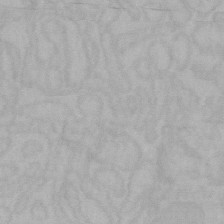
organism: Mouse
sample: Choroid plexus